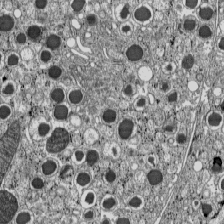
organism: C57BL Mouse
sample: Pancreatic islet